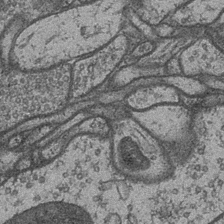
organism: Drosophila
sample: Optic medulla